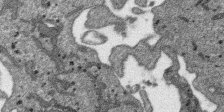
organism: Human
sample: Lung epithelial cells infected with SARS-CoV-2